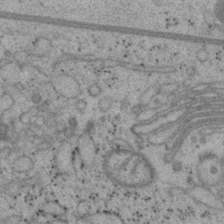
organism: Human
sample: HeLa cells